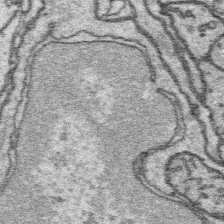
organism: Platynereis dumerilii